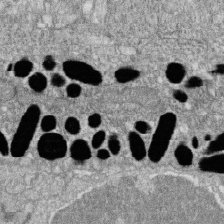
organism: Zebrafish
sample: Cilia; retinal pigment epithelium